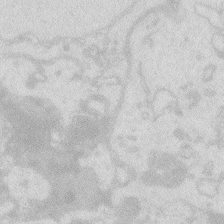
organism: Zebrafish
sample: Macrophage